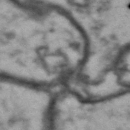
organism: Drosophila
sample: Brain